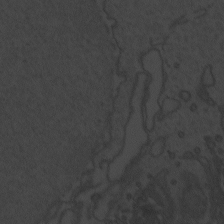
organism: Zebrafish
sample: Macrophage infected with Toxoplasma gondii